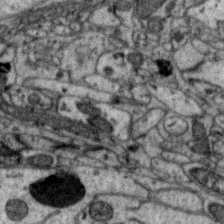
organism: Zebra finch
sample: Brain